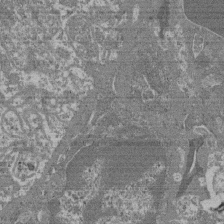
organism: Mouse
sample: Glomerulus